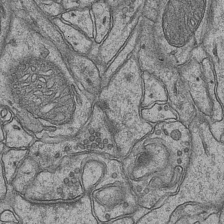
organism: Mouse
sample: CA1 Hippocampus